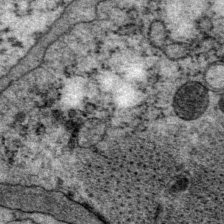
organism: P. pacificus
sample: Pharynx